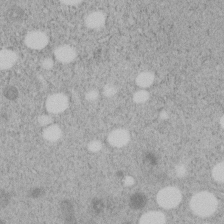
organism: C. elegans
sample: C. elegans embryo early stage